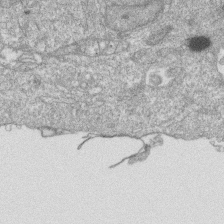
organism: Human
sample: HeLa cell HIV synapse